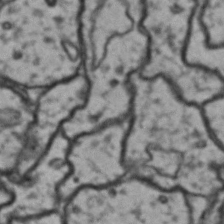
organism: Drosophila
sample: Brain